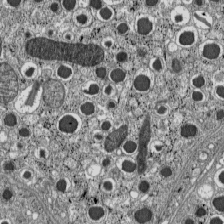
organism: C57BL Mouse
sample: Pancreatic islet